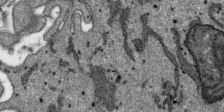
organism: Human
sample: Lung epithelial cells, uninfected (mock) control